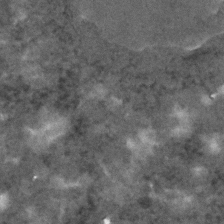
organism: C. elegans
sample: C. elegans embryo